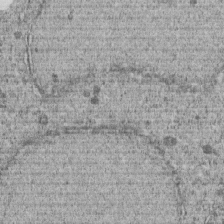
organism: C. elegans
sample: C. elegans embryo early stage